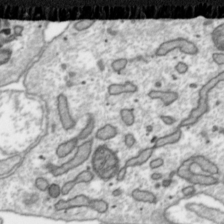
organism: Toxoplasma gondii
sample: Parasites in a vacuole inside a host cell